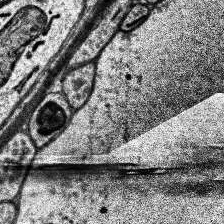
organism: Human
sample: Temporal Lobe